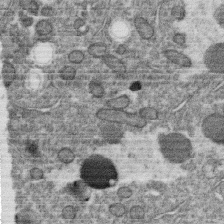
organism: C. elegans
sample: C. elegans oocyte; sperm cells